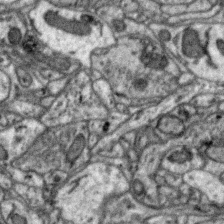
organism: Zebra finch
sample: Brain